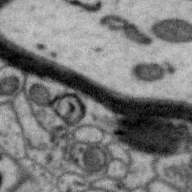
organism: Zebra finch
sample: Brain